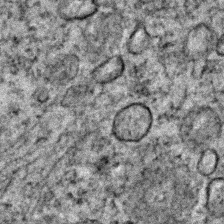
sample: Trachea